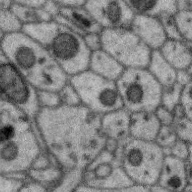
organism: Zebra finch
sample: Brain